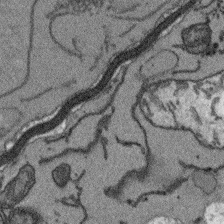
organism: Arabidopsis thaliana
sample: Root tip